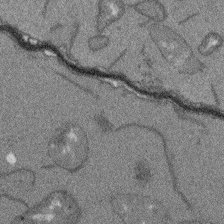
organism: Arabidopsis thaliana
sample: Root tip